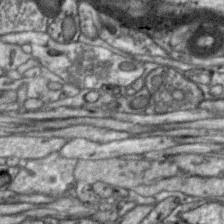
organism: Zebra finch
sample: Brain